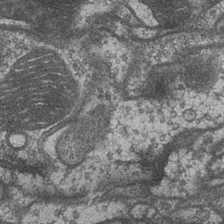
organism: Drosophila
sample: Optic medulla